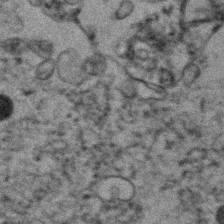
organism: Human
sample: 1205lu cells